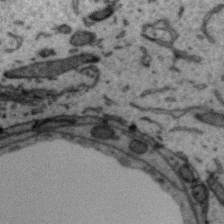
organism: Zebra finch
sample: Brain